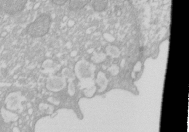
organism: Xenopus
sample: Cilia; centrioles in frog embryo cells